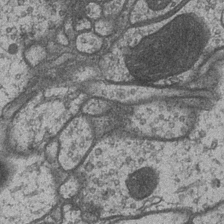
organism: Drosophila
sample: Optic medulla